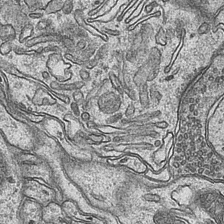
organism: Mouse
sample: CA1 Hippocampus